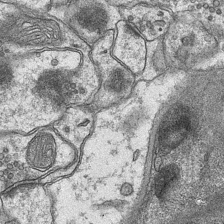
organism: Mouse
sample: CA1 Hippocampus